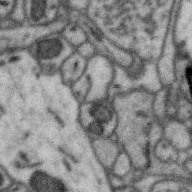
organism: Zebra finch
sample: Brain